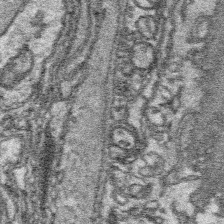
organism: Platynereis dumerilii